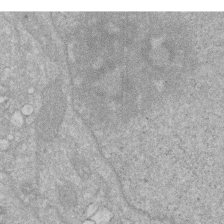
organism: Human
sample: HIV infected U937 cells